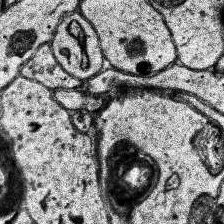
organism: Human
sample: Temporal Lobe